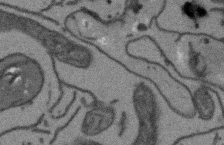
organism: Arabidopsis thaliana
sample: Root tip